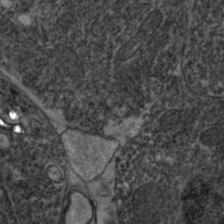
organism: Zebrafish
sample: Zebrafish embryo